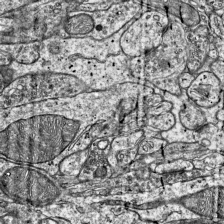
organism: Mouse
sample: Visual Cortex